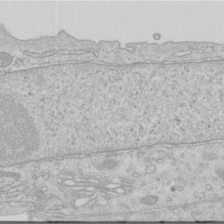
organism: Human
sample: Centriole in RPE cells